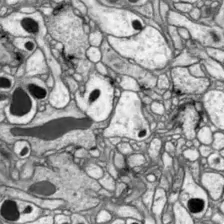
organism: Drosophila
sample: Optic lobe